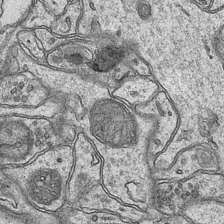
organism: Mouse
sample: CA1 Hippocampus